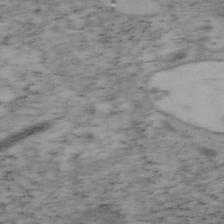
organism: Mouse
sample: OT-I killer T cells with ID8 ovarian cancer cells